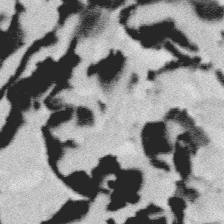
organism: Platynereis dumerilii